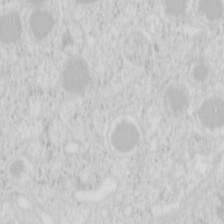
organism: Mouse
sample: Pancreas